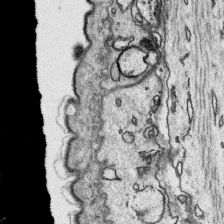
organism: Platynereis dumerilii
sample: Parapodia